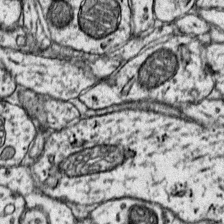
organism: Mouse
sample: Primary visual cortex